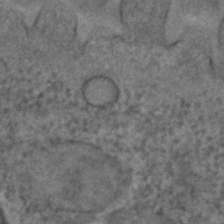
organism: C. elegans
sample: C. elegans embryo